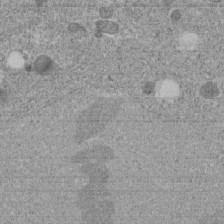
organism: C. elegans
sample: C. elegans embryo early stage